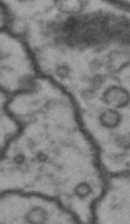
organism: Drosophila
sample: Brain